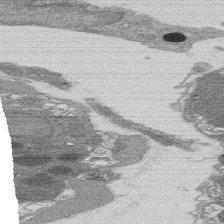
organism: Rat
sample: Salivary granule